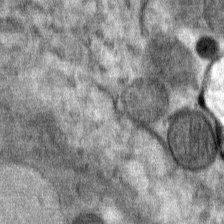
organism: Mouse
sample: Mouse Salivary gland